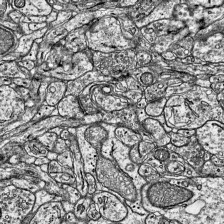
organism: Mouse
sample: Visual Cortex